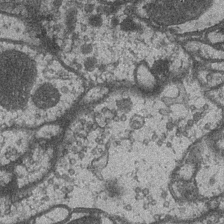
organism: Drosophila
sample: Optic medulla